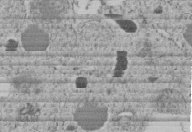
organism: C. elegans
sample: C. elegans embryo early stage